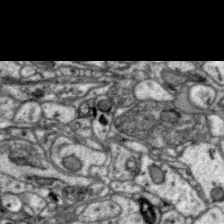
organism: Zebra finch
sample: Brain